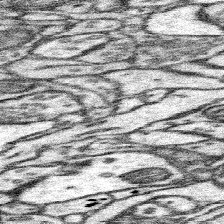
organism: Mouse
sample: Somatosensory cortex neuropil